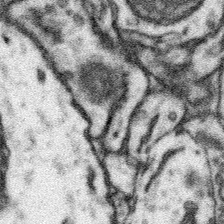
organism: Mouse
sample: Somatosensory cortex neuropil